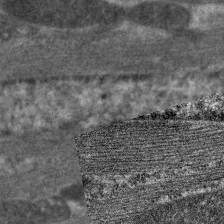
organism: C. elegans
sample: Pharynx